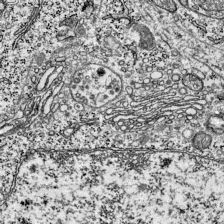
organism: Mouse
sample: Visual Cortex